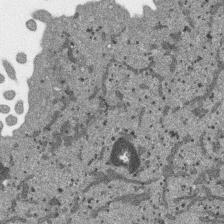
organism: Human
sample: Lung epithelial cells infected with SARS-CoV-2